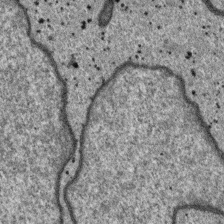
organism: Human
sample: Lung epithelial cells, uninfected (mock) control